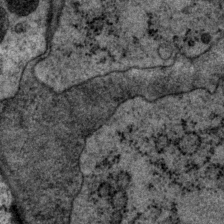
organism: P. pacificus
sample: Pharynx